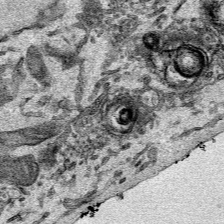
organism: Mouse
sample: Cancer cell death in ED-1 cells